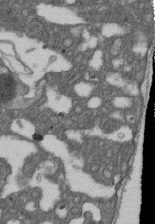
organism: Drosophila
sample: Nephrocyte